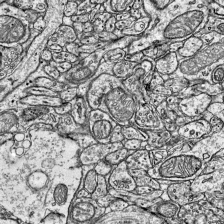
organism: Mouse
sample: Visual Cortex